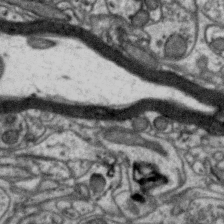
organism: Zebra finch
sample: Brain